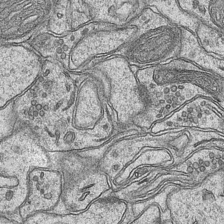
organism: Mouse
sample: CA1 Hippocampus